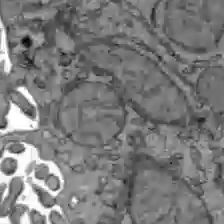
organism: C57BL Mouse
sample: Liver